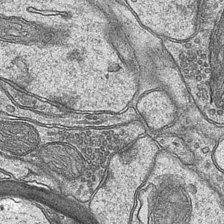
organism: Mouse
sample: CA1 Hippocampus